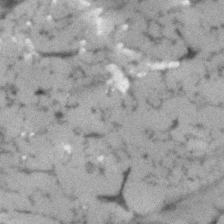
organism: Human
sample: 1205lu cells